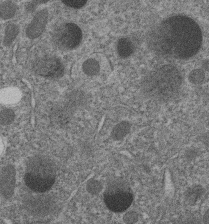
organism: C. elegans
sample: C. elegans embryo early stage